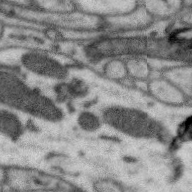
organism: Zebra finch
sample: Brain